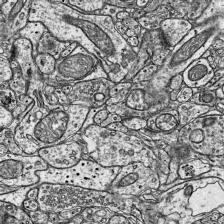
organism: Mouse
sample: Visual Cortex